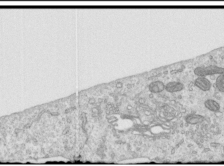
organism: Human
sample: Centriole in RPE cells